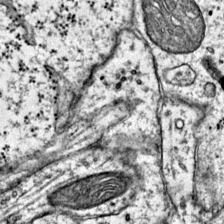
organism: Mouse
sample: Primary visual cortex